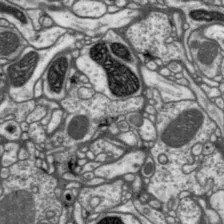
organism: Drosophila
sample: Protocerebral bridge